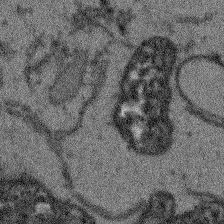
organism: Arabidopsis thaliana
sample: Root tip